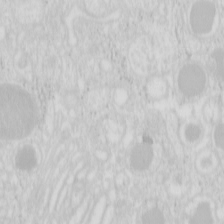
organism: Mouse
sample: Pancreas